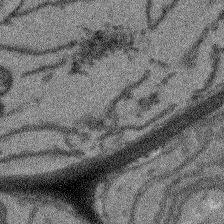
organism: Arabidopsis thaliana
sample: Root tip